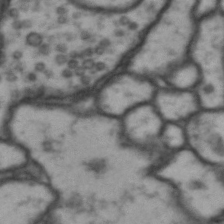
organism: Drosophila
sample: Brain